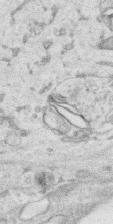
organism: Human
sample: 1205lu cells